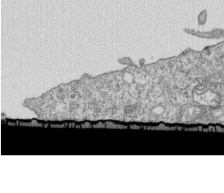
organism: Human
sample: HeLa cell HIV synapse